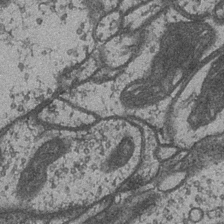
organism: Drosophila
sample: Optic medulla